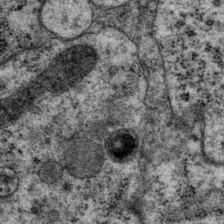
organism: P. pacificus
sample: Pharynx